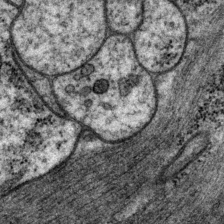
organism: P. pacificus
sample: Pharynx